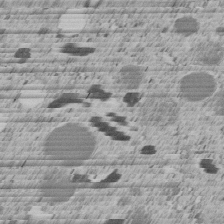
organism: C. elegans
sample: C. elegans embryo early stage